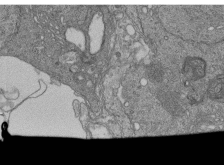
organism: Human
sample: Retinal organoid Rod and Cone cells